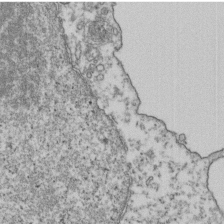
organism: Human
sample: Activated Jurkat CD4+ T cells